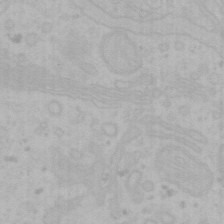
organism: Mouse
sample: Choroid plexus